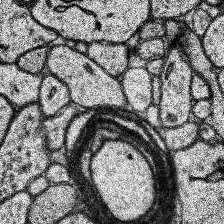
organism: Human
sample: Temporal Lobe